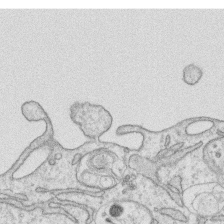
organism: Human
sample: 1205lu cells